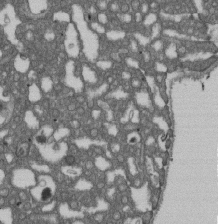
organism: Drosophila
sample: Nephrocyte